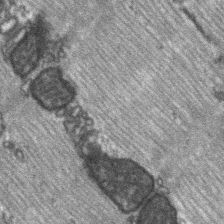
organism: C57BL Mouse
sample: Soleus